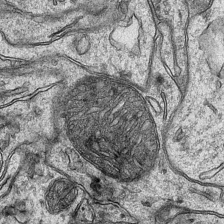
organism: Mouse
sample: CA1 Hippocampus